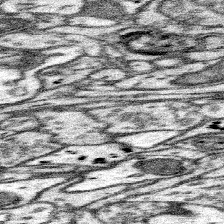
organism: Mouse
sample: Somatosensory cortex neuropil